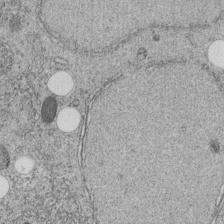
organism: C. elegans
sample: C. elegans embryo early stage